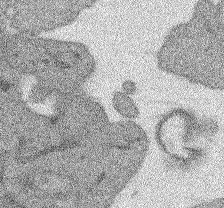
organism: Human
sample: HeLa cells